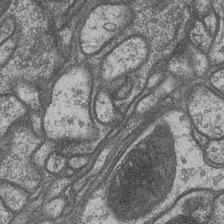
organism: Drosophila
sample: Optic medulla